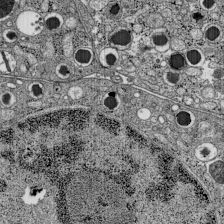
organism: C57BL Mouse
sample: Pancreatic islet